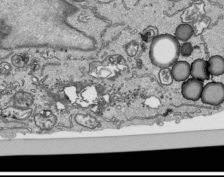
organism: Human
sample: Mitochondria in HCT116 cells